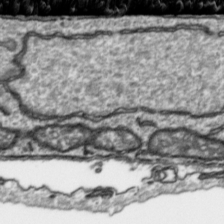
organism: Toxoplasma gondii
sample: Parasites in a vacuole inside a host cell